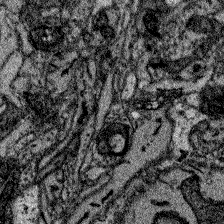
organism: Zebrafish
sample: Larval olfactory bulb